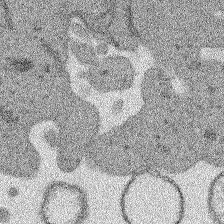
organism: Human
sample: HeLa cells